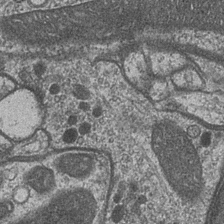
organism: Drosophila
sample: Optic medulla